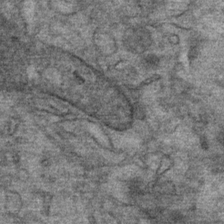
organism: Mouse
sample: Mouse Salivary gland